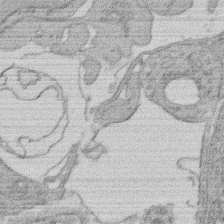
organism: Rat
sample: Salivary granule